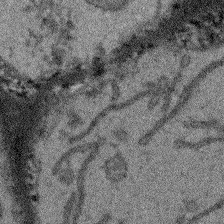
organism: Arabidopsis thaliana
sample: Root tip